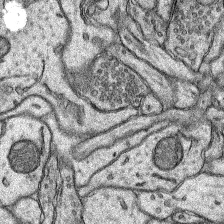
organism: Rat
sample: Hippocampus